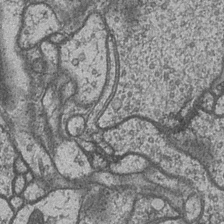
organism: Drosophila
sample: Optic medulla